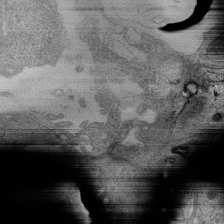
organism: Human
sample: Retinal organoid Rod and Cone cells